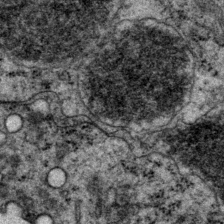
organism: P. pacificus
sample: Pharynx